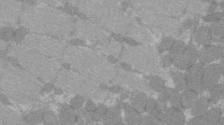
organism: C57BL Mouse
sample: Tibialis anterior muscle cell